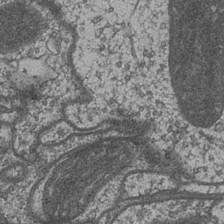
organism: Drosophila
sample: Optic medulla